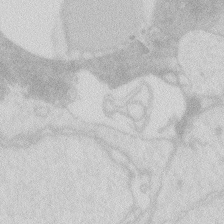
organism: Zebrafish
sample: Macrophage